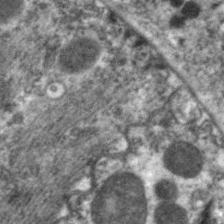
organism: C. elegans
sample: Pharynx